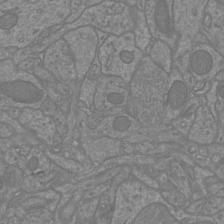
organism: Mouse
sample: Cortical neurons